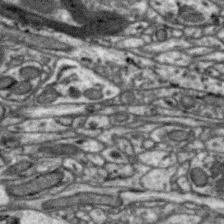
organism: Zebra finch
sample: Brain